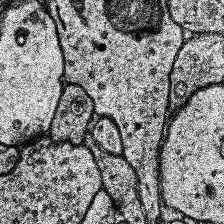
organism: Human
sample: Temporal Lobe